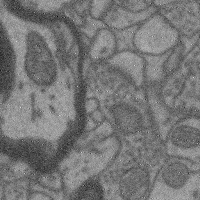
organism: Mouse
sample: Cerebral cortex